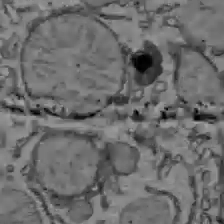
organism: C57BL Mouse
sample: Liver